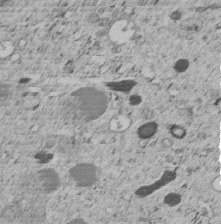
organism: C. elegans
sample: C. elegans embryo early stage